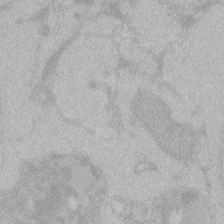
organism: Zebrafish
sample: Macrophage infected with Toxoplasma gondii